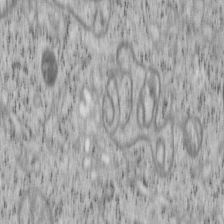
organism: Human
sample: HeLa cells